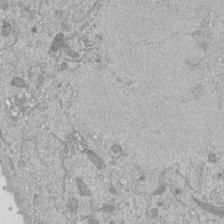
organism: Mouse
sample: ED-1 cell nuclei; centrioles